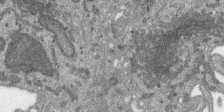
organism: Human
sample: Lung epithelial cells infected with SARS-CoV-2